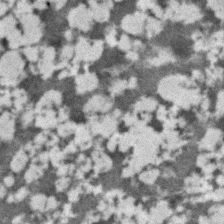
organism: C. elegans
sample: C. elegans embryo